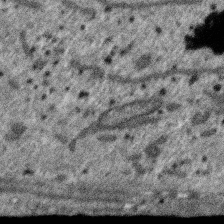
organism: Human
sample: Lung epithelial cells infected with SARS-CoV-2